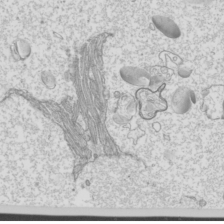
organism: Mouse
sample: Cilia; mouse epididymis